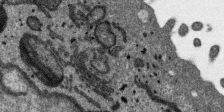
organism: Human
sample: Lung epithelial cells, uninfected (mock) control